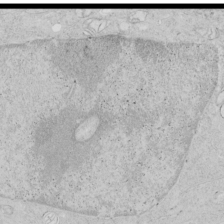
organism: Human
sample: Mitochondria in HCT116 cells